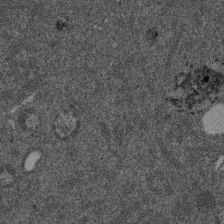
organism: Mouse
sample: Dividing mouse embryo 1 cell stage